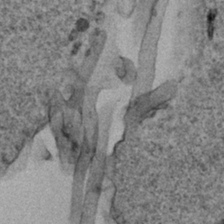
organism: Human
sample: Mitochondria in HCT116 cells